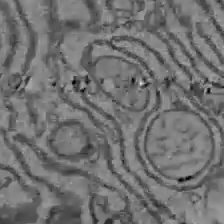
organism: C57BL Mouse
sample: Liver